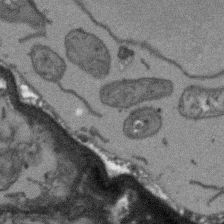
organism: Arabidopsis thaliana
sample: Root tip